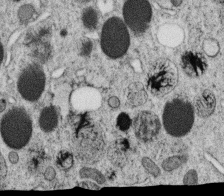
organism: C. elegans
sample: C. elegans oocyte; sperm cells